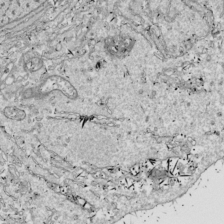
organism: Drosophila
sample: Cell division; meiosis; drosophila spermatocytes